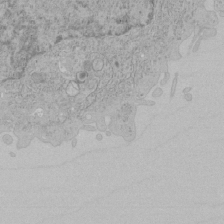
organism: Human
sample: Mitochondria in HCT116 cells